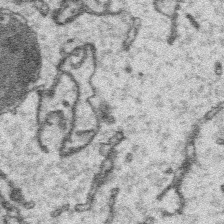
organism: Platynereis dumerilii